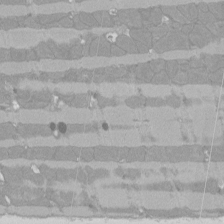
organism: Rat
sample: Left ventricle